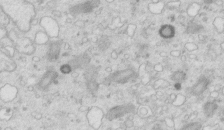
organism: Mouse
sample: Multiciliated cells